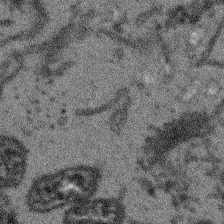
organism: Arabidopsis thaliana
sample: Root tip